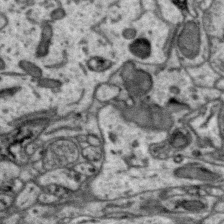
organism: Zebra finch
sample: Brain